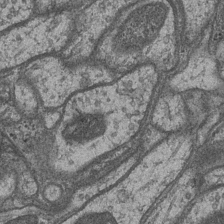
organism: Drosophila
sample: Optic medulla